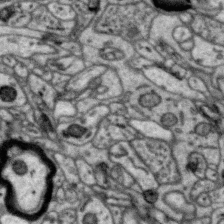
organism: Zebra finch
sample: Brain